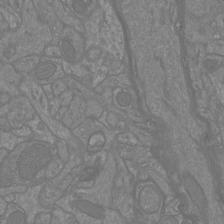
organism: Mouse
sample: Cortical neurons